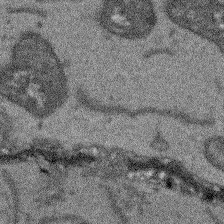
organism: Arabidopsis thaliana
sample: Root tip